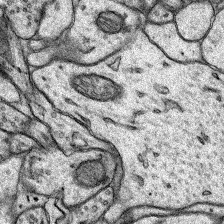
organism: Rat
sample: Hippocampus